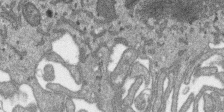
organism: Human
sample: Lung epithelial cells infected with SARS-CoV-2